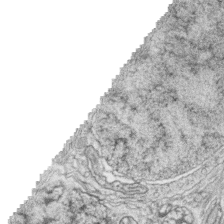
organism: Zebrafish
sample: synaptic ribbons in rod cells and cone cells